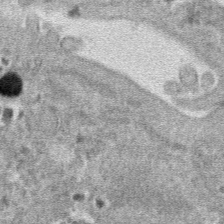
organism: Mouse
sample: Mouse hepatocytes